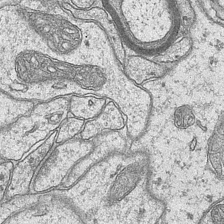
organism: Mouse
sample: CA1 Hippocampus